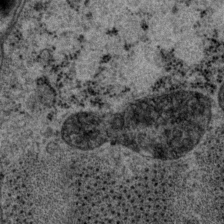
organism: P. pacificus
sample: Pharynx